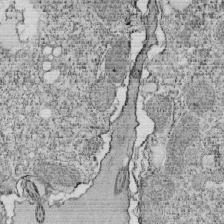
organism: Tetrahymena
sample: Cilia in tetrahymena